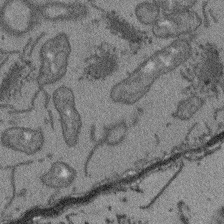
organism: Arabidopsis thaliana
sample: Root tip